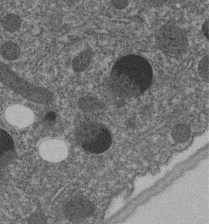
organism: C. elegans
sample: C. elegans embryo early stage